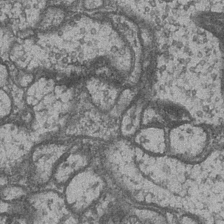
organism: Drosophila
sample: Optic medulla